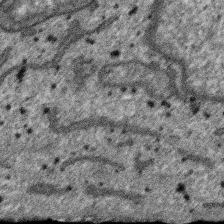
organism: Human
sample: Lung epithelial cells infected with SARS-CoV-2